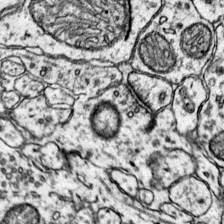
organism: Mouse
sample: Primary visual cortex